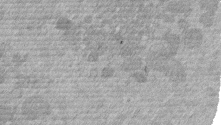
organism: Mouse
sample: Dividing mouse embryo 1 cell stage